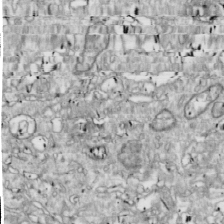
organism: Drosophila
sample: Cell division; meiosis; drosophila spermatocytes